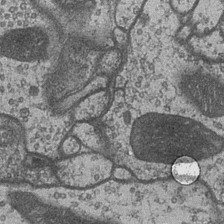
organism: Drosophila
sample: Optic medulla